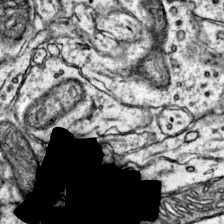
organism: Mouse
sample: Primary visual cortex